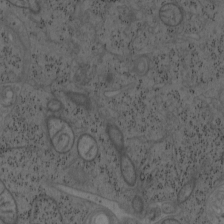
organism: Mouse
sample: OT-I killer T cells with ID8 ovarian cancer cells